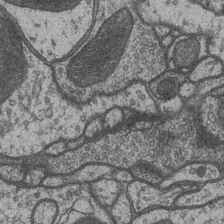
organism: Drosophila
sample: Optic medulla